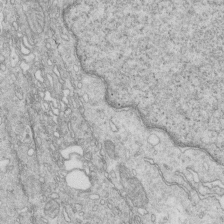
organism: Mouse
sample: Multiciliated cells